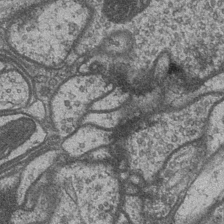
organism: Drosophila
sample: Optic medulla